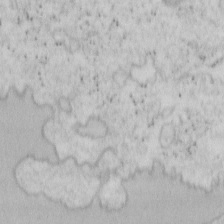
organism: Human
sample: HeLa cells